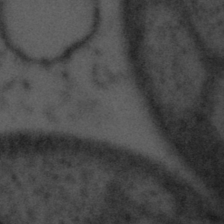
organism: Tuwongella immobilis